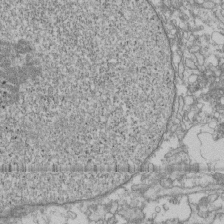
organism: Human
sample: Fibroblast cells